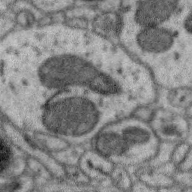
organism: Zebra finch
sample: Brain